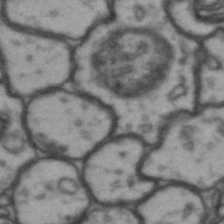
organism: Drosophila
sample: Brain